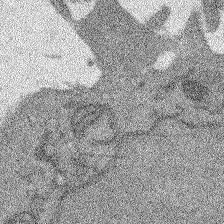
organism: Human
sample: HeLa cells